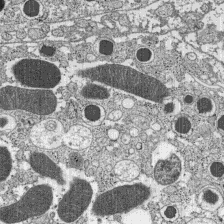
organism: C57BL Mouse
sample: Pancreatic islet